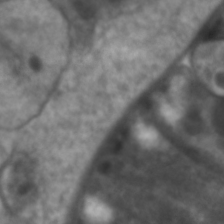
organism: C. elegans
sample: Pharynx